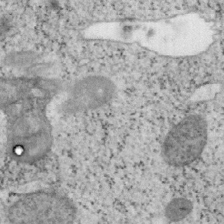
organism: Mouse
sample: OT-I killer T cells with ID8 ovarian cancer cells